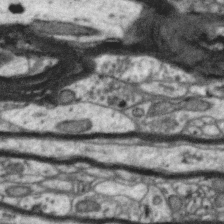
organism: Zebra finch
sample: Brain